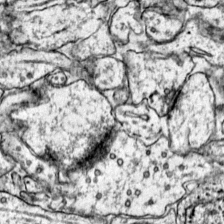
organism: Mouse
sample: Primary visual cortex